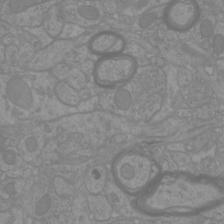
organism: Mouse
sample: Cortical neurons